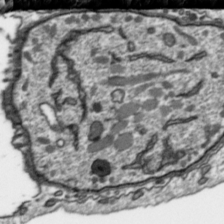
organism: Toxoplasma gondii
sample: Parasites in a vacuole inside a host cell